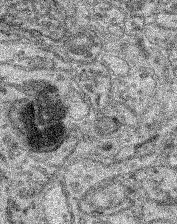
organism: Mouse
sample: Retina